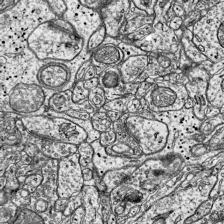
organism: Mouse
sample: Visual Cortex